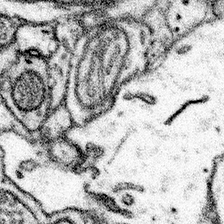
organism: Mouse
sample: Somatosensory cortex neuropil